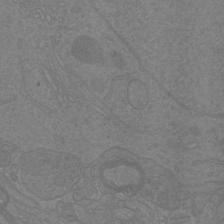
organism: Mouse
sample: Cortical neurons